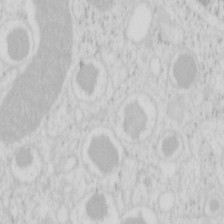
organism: Mouse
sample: Pancreas